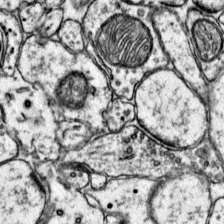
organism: Mouse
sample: Primary visual cortex